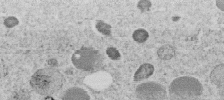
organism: C. elegans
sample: C. elegans embryo early stage